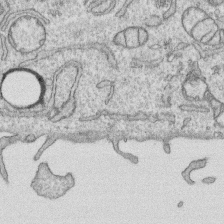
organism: Human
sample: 1205lu cells